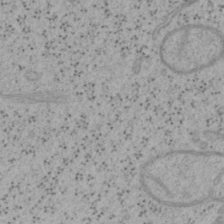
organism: Human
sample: HeLa cells